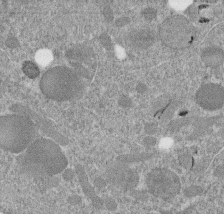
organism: C. elegans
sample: C. elegans embryo early stage